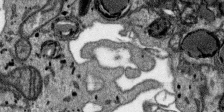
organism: Human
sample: Lung epithelial cells, uninfected (mock) control